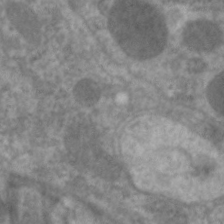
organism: C. elegans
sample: Pharynx